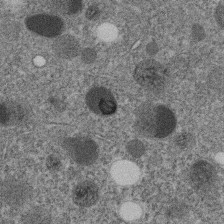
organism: C. elegans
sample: C. elegans embryo early stage